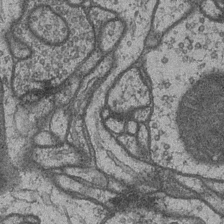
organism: Drosophila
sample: Optic medulla